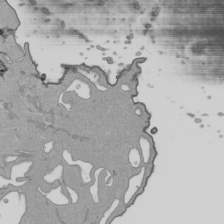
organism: Human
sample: Mitochondria in HCT116 cells